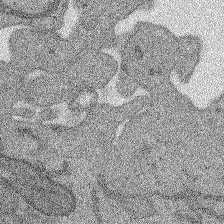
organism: Human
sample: HeLa cells